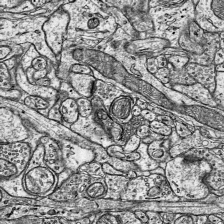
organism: Mouse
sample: Visual Cortex